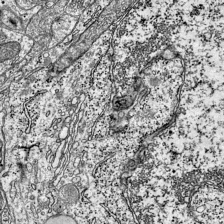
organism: Mouse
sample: Visual Cortex